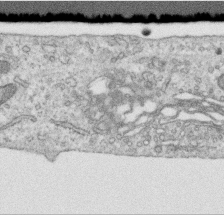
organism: Human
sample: Centriole in RPE cells